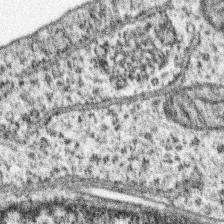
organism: Human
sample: HeLa cells